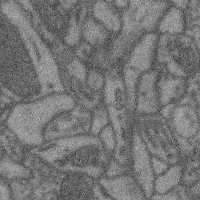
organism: Mouse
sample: Cerebral cortex